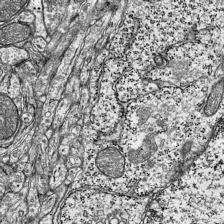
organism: Mouse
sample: Visual Cortex